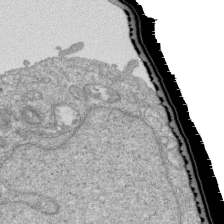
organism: Human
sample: HeLa cell HIV synapse